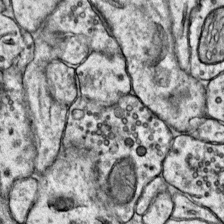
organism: Mouse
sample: Primary visual cortex